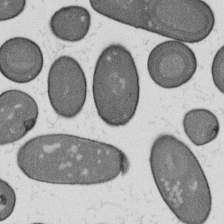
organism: B. subtilis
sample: Bacterial spore